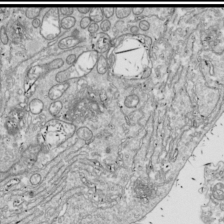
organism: Drosophila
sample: Cell division; meiosis; drosophila spermatocytes